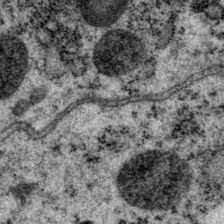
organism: P. pacificus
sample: Pharynx